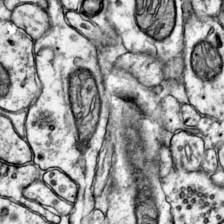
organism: Mouse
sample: Primary visual cortex